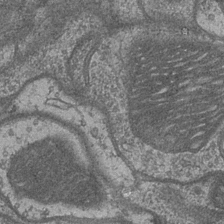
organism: Drosophila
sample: Optic medulla